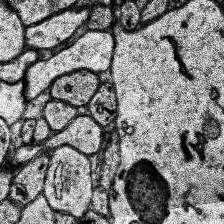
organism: Human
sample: Temporal Lobe